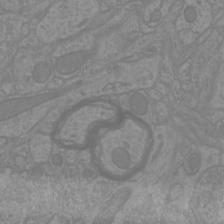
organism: Mouse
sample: Cortical neurons